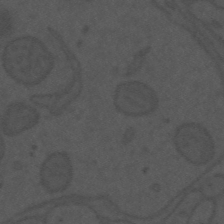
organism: Mouse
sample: Suprachiasmatic nucleus